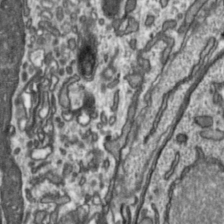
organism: Toxoplasma gondii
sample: Parasites in a vacuole inside a host cell